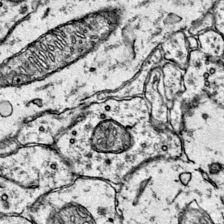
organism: Mouse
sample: Primary visual cortex